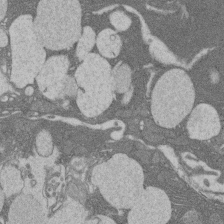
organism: Rat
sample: Salivary granule